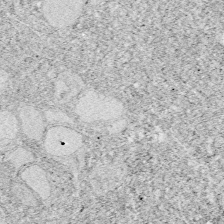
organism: Zebrafish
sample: Whole-Brain